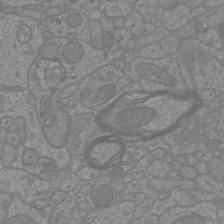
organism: Mouse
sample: Cortical neurons